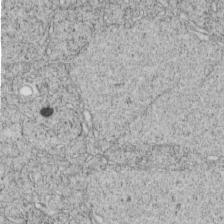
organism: C. elegans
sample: C. elegans embryo early stage